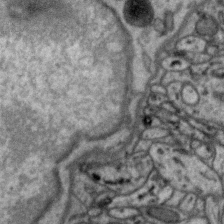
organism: Zebra finch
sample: Brain